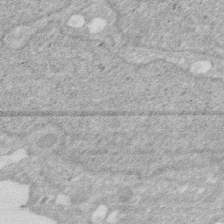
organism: Human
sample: HIV infected U937 cells